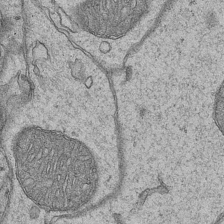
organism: Mouse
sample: CA1 Hippocampus